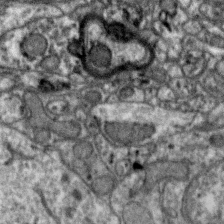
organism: Zebra finch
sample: Brain